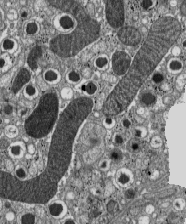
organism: C57BL Mouse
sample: Pancreatic islet